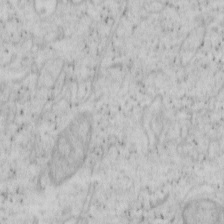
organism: Human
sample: HeLa cells